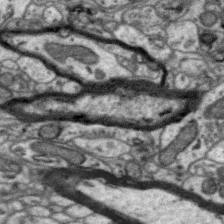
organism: Zebra finch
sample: Brain